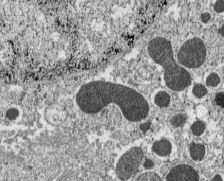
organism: C57BL Mouse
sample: Pancreatic islet